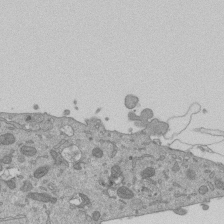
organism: Mouse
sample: ED-1 cell nuclei; centrioles